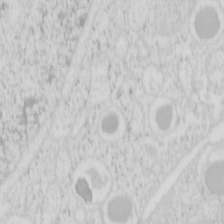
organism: Mouse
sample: Pancreas